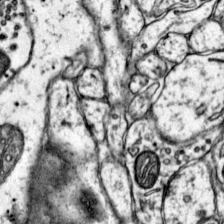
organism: Mouse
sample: Primary visual cortex